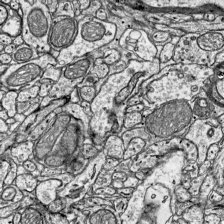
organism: Mouse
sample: Visual Cortex